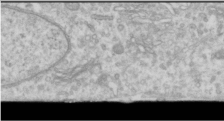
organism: Human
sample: Cilia; basal body in RPE cells